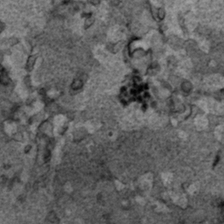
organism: Human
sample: Mitochondria in HCT116 cells